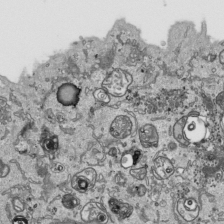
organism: Human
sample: Mitochondria in HCT116 cells